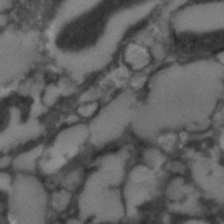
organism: C. elegans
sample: C. elegans embryo